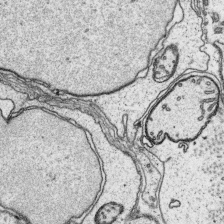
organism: Platynereis dumerilii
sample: Parapodia